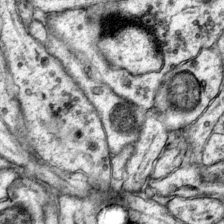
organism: Mouse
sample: Primary visual cortex